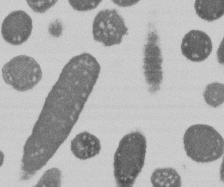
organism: E. coli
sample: Bacterial nucleoid